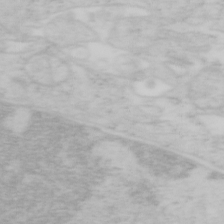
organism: Mouse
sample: OT-I killer T cells with ID8 ovarian cancer cells